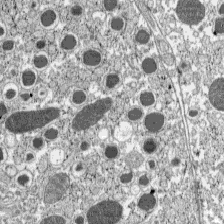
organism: C57BL Mouse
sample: Pancreatic islet